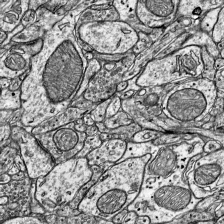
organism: Mouse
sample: Visual Cortex